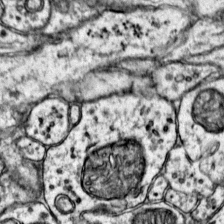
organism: Mouse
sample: Primary visual cortex